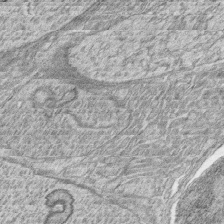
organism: Zebrafish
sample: synaptic ribbons in rod cells and cone cells